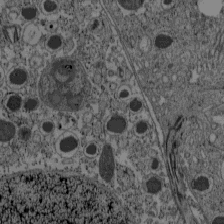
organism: C57BL Mouse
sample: Pancreatic islet